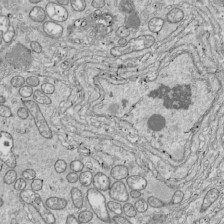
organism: Drosophila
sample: Cell division; meiosis; drosophila spermatocytes